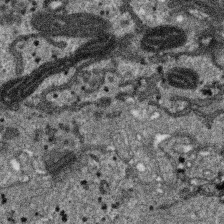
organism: Human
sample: Lung epithelial cells infected with SARS-CoV-2